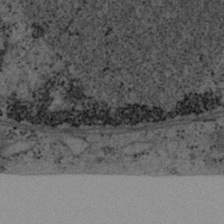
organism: Human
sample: HeLa cells